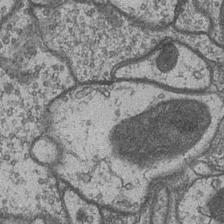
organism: Drosophila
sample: Optic medulla